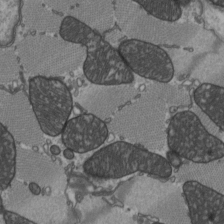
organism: C57BL Mouse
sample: Heart